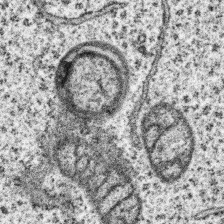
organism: Human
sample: HeLa cells